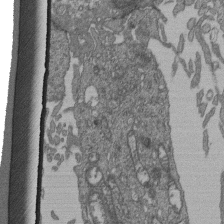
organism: Human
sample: Retinal organoid Rod and Cone cells